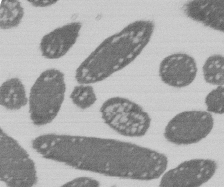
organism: E. coli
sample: Bacterial nucleoid